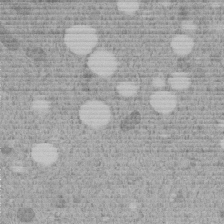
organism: C. elegans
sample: C. elegans embryo early stage